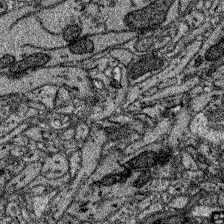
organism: Zebrafish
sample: Larval olfactory bulb